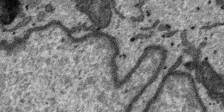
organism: Human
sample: Lung epithelial cells, uninfected (mock) control